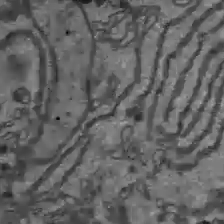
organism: C57BL Mouse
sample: Liver